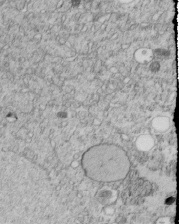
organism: C. elegans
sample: C. elegans embryo early stage